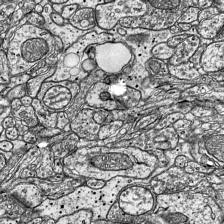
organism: Mouse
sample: Visual Cortex